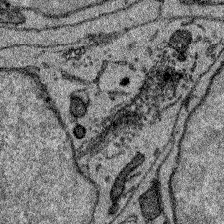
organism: Zebrafish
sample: Larval olfactory bulb